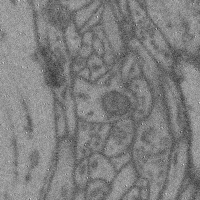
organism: Mouse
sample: Cerebral cortex